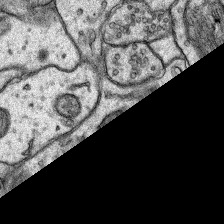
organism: Rat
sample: Hippocampus